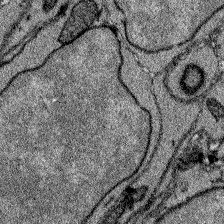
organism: Zebrafish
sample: Larval olfactory bulb